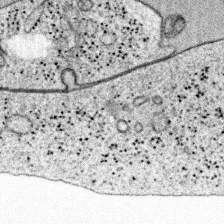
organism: Human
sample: HeLa cells